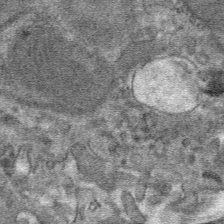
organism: Mouse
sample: Mouse hepatocytes